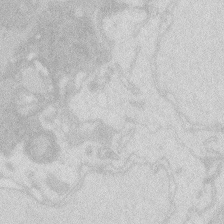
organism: Zebrafish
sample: Macrophage